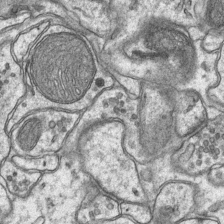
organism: Mouse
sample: CA1 Hippocampus